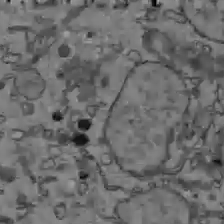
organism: C57BL Mouse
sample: Liver